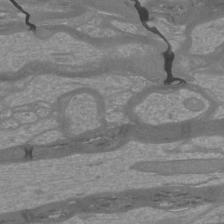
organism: Mouse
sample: Cortical neurons